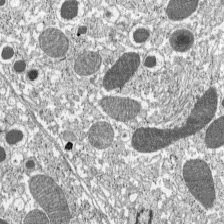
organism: C57BL Mouse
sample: Pancreatic islet